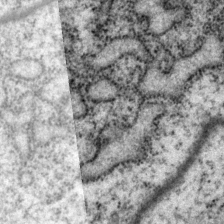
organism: P. pacificus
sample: Pharynx